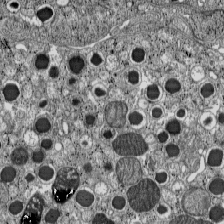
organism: C57BL Mouse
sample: Pancreatic islet